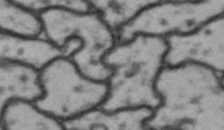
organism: Drosophila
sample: Brain